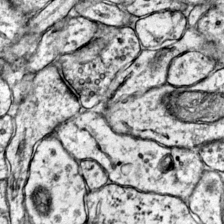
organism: Mouse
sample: Primary visual cortex